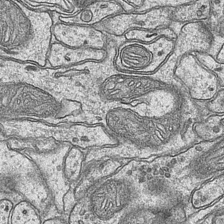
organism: Mouse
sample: CA1 Hippocampus